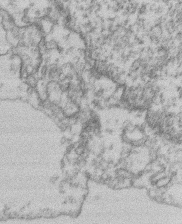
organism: Mouse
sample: T cell stromal cell synapse